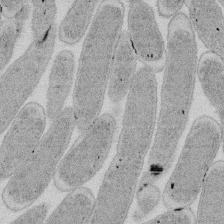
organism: E. coli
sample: Bacterial nucleoid